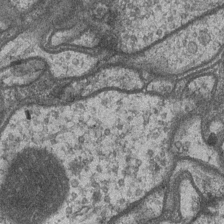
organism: Drosophila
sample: Optic medulla